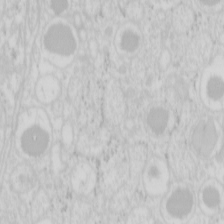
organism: Mouse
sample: Pancreas